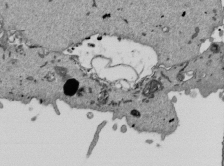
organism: Mouse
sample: ED-1 cell nuclei; centrioles